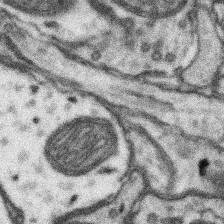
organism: Mouse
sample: Somatosensory cortex neuropil